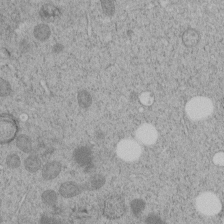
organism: C. elegans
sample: C. elegans embryo early stage